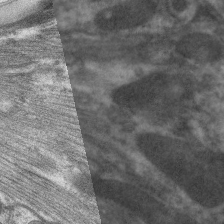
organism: C. elegans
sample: Pharynx